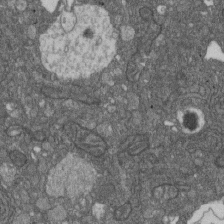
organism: Drosophila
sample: Nephrocyte